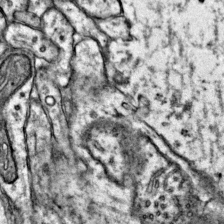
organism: Mouse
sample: Primary visual cortex